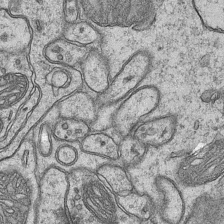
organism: Mouse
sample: CA1 Hippocampus